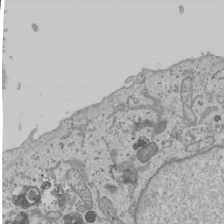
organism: Human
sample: Mitochondria in U2OS cells